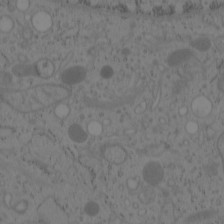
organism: Human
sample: HeLa cells